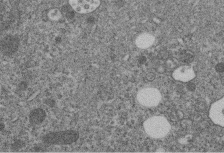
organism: C. elegans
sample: C. elegans embryo early stage